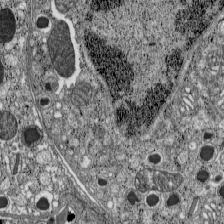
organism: C57BL Mouse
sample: Pancreatic islet